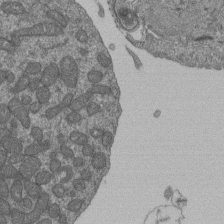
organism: Human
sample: Retinal organoid Rod and Cone cells